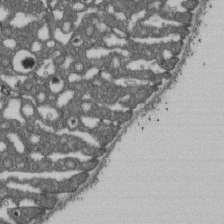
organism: Drosophila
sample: Nephrocyte